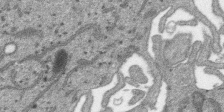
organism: Human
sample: Lung epithelial cells infected with SARS-CoV-2